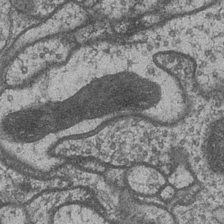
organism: Drosophila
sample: Optic medulla